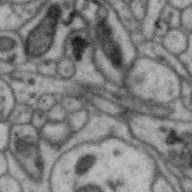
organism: Zebra finch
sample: Brain